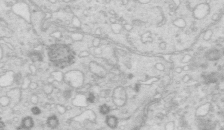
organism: Mouse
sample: Multiciliated cells